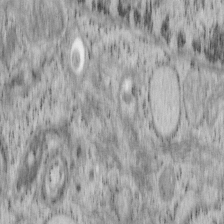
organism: Human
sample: HeLa cells